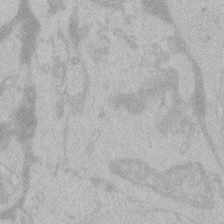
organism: Zebrafish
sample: Macrophage infected with Toxoplasma gondii